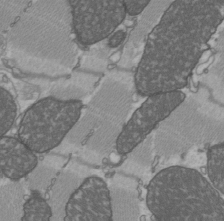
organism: C57BL Mouse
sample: Heart